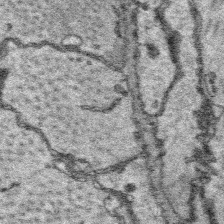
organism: Platynereis dumerilii